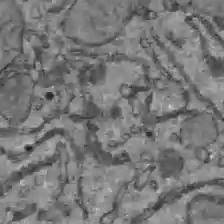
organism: C57BL Mouse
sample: Liver